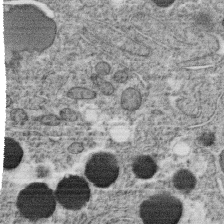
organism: C. elegans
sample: C. elegans oocyte; sperm cells